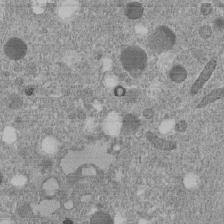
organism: C. elegans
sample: C. elegans embryo early stage